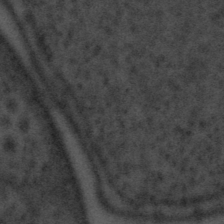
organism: Tuwongella immobilis